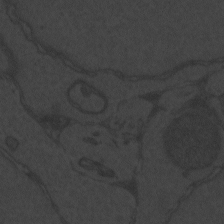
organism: Zebrafish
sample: Macrophage infected with Toxoplasma gondii